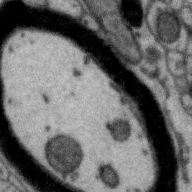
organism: Zebra finch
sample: Brain